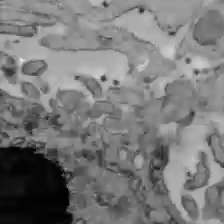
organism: C57BL Mouse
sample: Liver